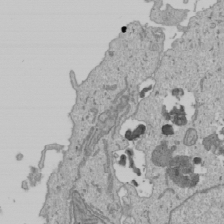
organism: Human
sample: Mitochondria in U2OS cells